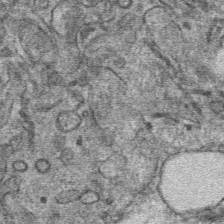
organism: Mouse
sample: Mouse hepatocytes